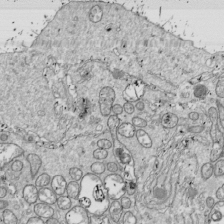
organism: Drosophila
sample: Cell division; meiosis; drosophila spermatocytes